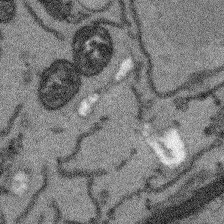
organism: Arabidopsis thaliana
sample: Root tip